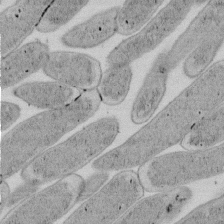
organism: E. coli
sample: Bacterial nucleoid